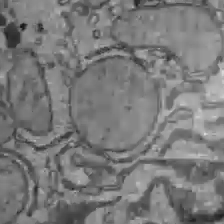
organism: C57BL Mouse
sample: Liver